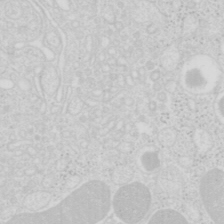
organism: Mouse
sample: Pancreas